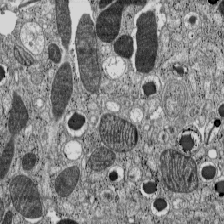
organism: C57BL Mouse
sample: Pancreatic islet